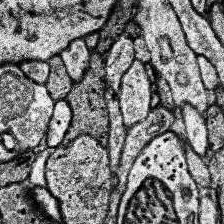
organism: Human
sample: Temporal Lobe